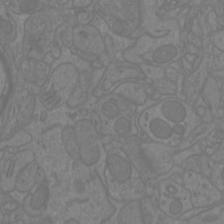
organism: Mouse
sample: Cortical neurons